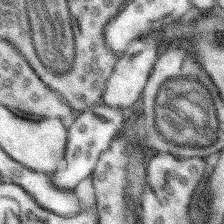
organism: Mouse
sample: Somatosensory cortex neuropil